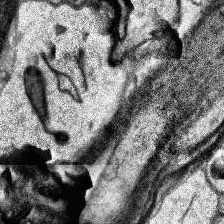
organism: Human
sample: Temporal Lobe